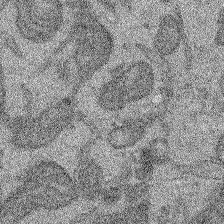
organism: Human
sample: HeLa cells